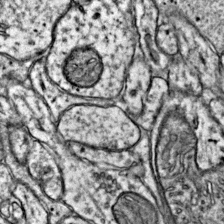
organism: Mouse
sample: Primary visual cortex